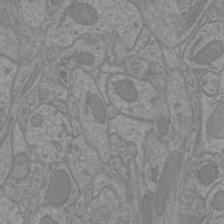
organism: Mouse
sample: Cortical neurons